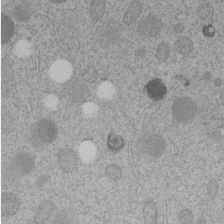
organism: C. elegans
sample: C. elegans embryo early stage